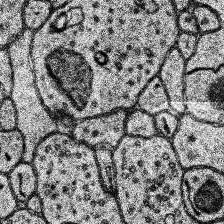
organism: Human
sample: Temporal Lobe